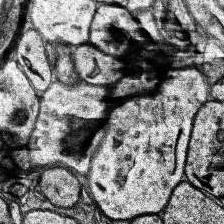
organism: Human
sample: Temporal Lobe